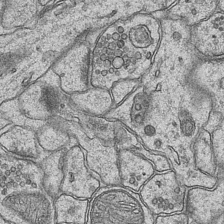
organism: Mouse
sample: CA1 Hippocampus